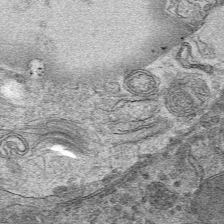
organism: Mouse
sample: Mouse hepatocytes